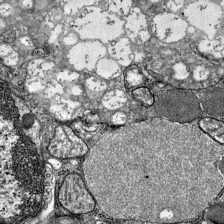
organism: Mouse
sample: Visual Cortex